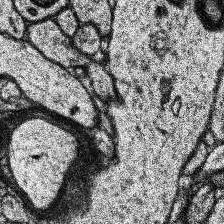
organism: Human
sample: Temporal Lobe